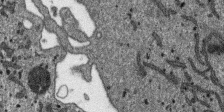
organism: Human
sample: Lung epithelial cells infected with SARS-CoV-2